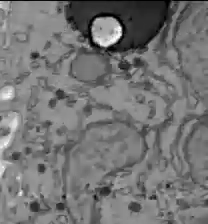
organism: C57BL Mouse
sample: Liver